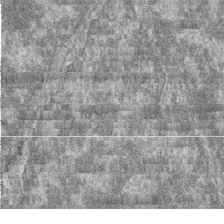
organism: Zebrafish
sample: Cilia; retinal pigment epithelium